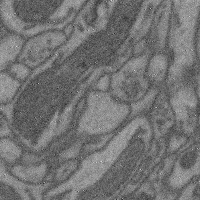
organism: Mouse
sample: Cerebral cortex